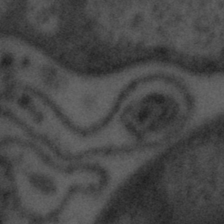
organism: Tuwongella immobilis